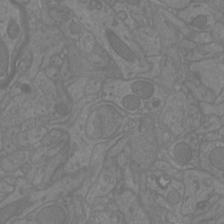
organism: Mouse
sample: Cortical neurons